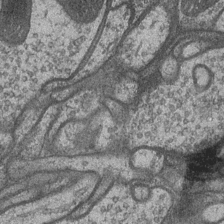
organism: Drosophila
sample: Optic medulla